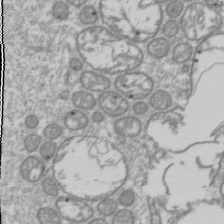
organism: Drosophila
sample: Cell division; meiosis; drosophila spermatocytes